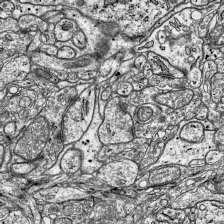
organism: Mouse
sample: Visual Cortex